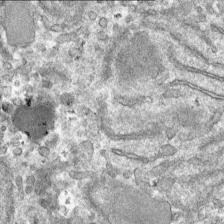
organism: Mouse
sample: Mouse hepatocytes